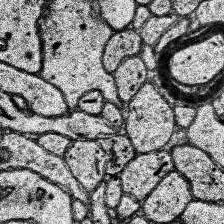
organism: Human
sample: Temporal Lobe